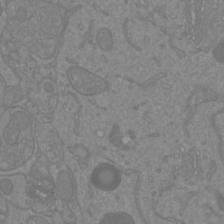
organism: Mouse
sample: Cortical neurons